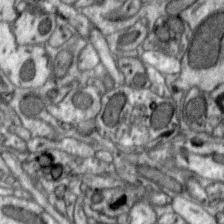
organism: Zebra finch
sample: Brain